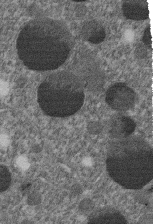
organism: C. elegans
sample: C. elegans embryo early stage